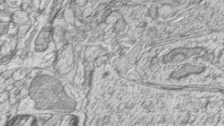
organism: Zebrafish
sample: synaptic ribbons in rod cells and cone cells